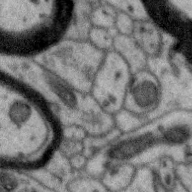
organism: Zebra finch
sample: Brain